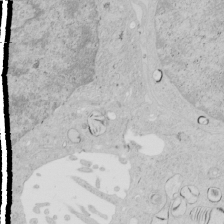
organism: Human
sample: Mitochondria in HCT116 cells